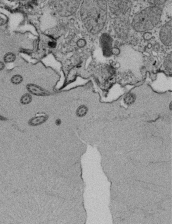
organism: Tetrahymena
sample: Cilia in tetrahymena